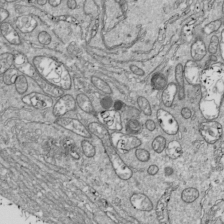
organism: Drosophila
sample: Cell division; meiosis; drosophila spermatocytes